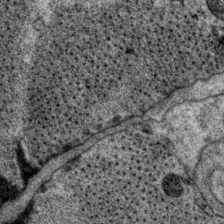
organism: P. pacificus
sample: Pharynx